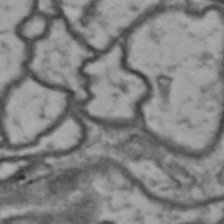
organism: Drosophila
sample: Brain